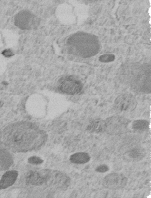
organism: C. elegans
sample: C. elegans embryo early stage